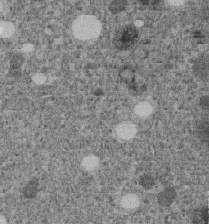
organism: C. elegans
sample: C. elegans embryo early stage